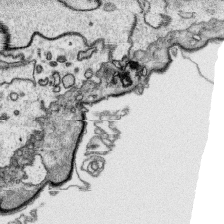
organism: Platynereis dumerilii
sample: Parapodia